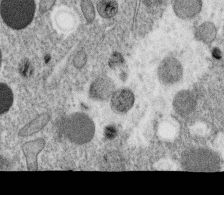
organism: C. elegans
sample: C. elegans oocyte; sperm cells